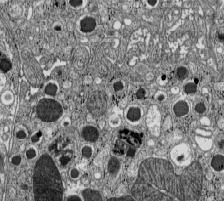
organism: C57BL Mouse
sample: Pancreatic islet